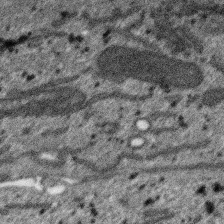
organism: Human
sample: Lung epithelial cells infected with SARS-CoV-2